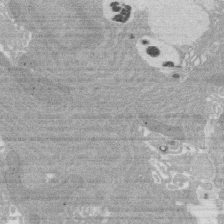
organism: Rat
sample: Salivary granule